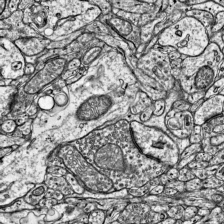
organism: Mouse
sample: Visual Cortex